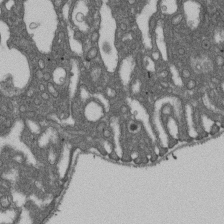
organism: Drosophila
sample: Nephrocyte